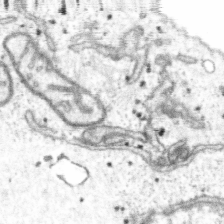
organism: Human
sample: HeLa cells